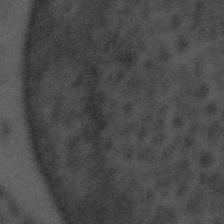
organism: Tuwongella immobilis